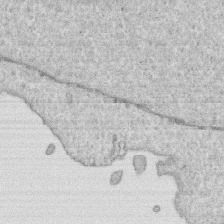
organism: Human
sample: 1205lu cells